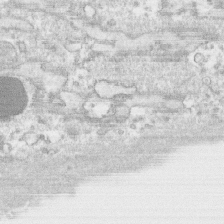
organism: Human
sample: CRL-1474